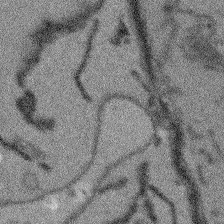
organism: Arabidopsis thaliana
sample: Root tip